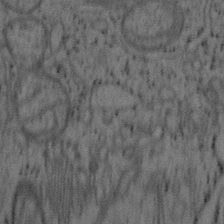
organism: Human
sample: HeLa cells